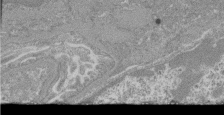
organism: Mouse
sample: Glomerulus